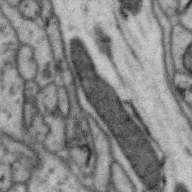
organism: Zebra finch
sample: Brain